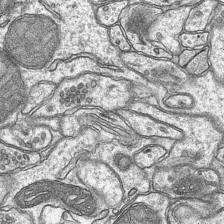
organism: Mouse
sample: CA1 Hippocampus